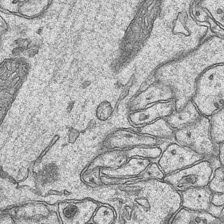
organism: Mouse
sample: CA1 Hippocampus